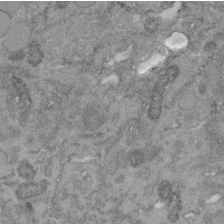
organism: C. elegans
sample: C. elegans embryo early stage